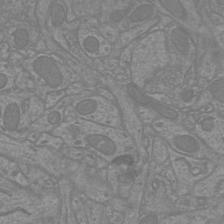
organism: Mouse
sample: Cortical neurons